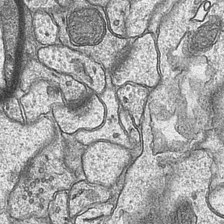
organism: Mouse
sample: CA1 Hippocampus